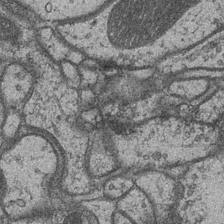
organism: Drosophila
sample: Optic medulla